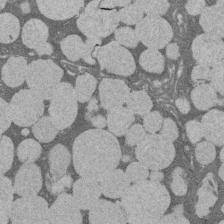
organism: Rat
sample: Salivary granule